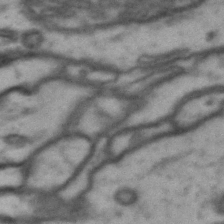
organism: Drosophila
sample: Brain